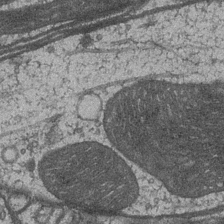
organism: Drosophila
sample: Optic medulla